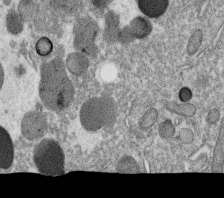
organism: C. elegans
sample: C. elegans oocyte; sperm cells